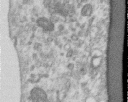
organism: Human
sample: Centriole in RPE cells